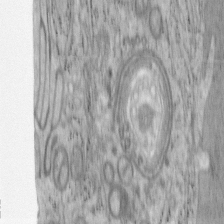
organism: Human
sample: HeLa cells